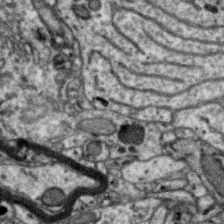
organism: Zebra finch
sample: Brain